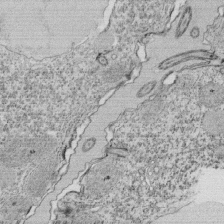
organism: Tetrahymena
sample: Cilia in tetrahymena